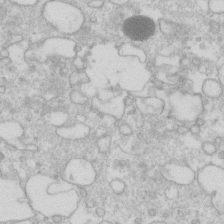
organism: Human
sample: Fibroblast cells